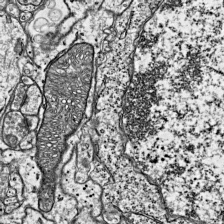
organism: Mouse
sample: Visual Cortex